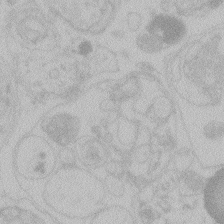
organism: Zebrafish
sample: Macrophage infected with Toxoplasma gondii